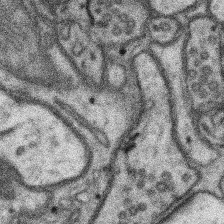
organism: Mouse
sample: Somatosensory cortex neuropil